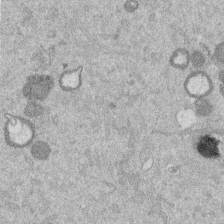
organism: Mouse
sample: Dividing mouse embryo 1 cell stage